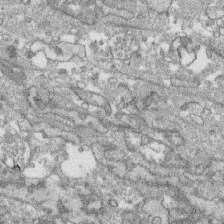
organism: Human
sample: CRL-1474